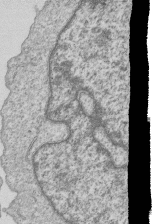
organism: Human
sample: MDA-MB-231 cells